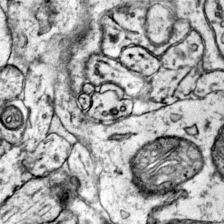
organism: Mouse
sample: Primary visual cortex